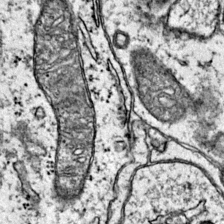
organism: Mouse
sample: Primary visual cortex